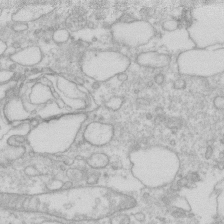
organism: Human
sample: Fibroblast cells